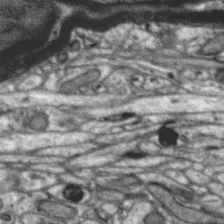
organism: Zebra finch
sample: Brain